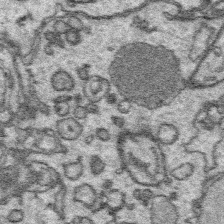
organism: Platynereis dumerilii